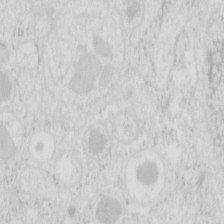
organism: Mouse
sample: Pancreas